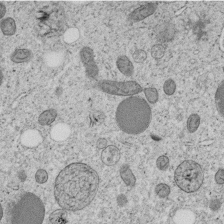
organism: C. elegans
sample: C. elegans embryo early stage